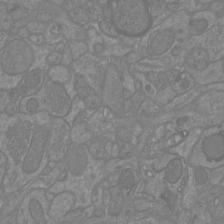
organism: Mouse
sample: Cortical neurons